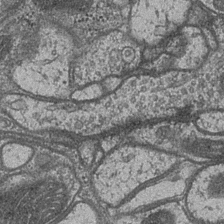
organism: Drosophila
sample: Optic medulla